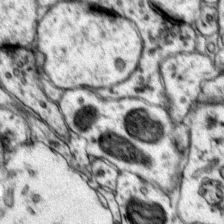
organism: Mouse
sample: Primary visual cortex